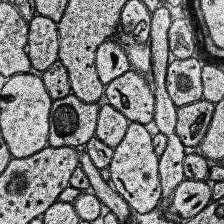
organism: Human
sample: Temporal Lobe